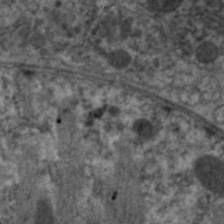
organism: C. elegans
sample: Pharynx